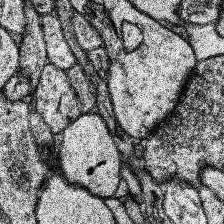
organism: Human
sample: Temporal Lobe